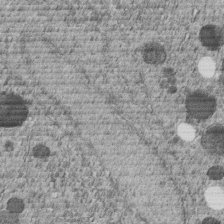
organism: C. elegans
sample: C. elegans embryo early stage